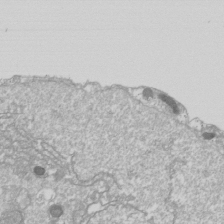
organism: Drosophila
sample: Cell division; meiosis; drosophila spermatocytes